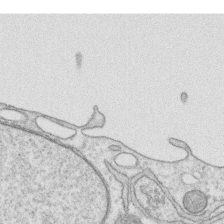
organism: Human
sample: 1205lu cells